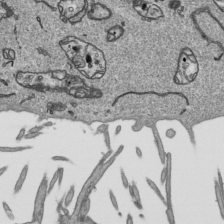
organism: Human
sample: Mitochondria in HCT116 cells